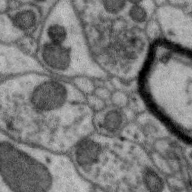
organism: Zebra finch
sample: Brain